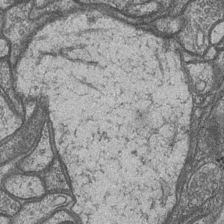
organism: Drosophila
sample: Optic medulla